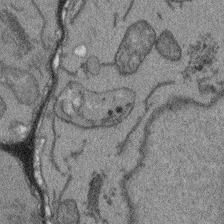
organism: Arabidopsis thaliana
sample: Root tip